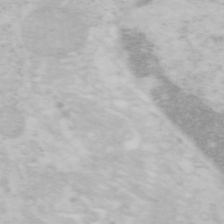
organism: Mouse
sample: OT-I killer T cells with ID8 ovarian cancer cells